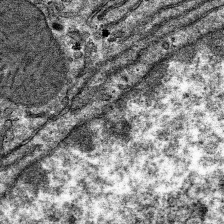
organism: Mouse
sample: Mouse hepatocytes